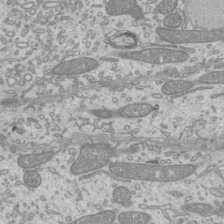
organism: Mouse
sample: Cilia; mouse epididymis